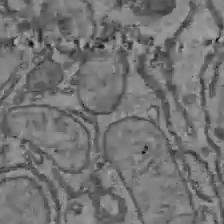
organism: C57BL Mouse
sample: Liver